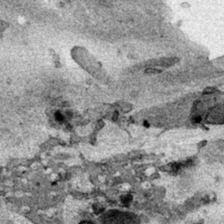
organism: Human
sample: Mitochondria in HCT116 cells